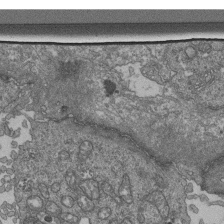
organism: Human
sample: Retinal organoid Rod and Cone cells